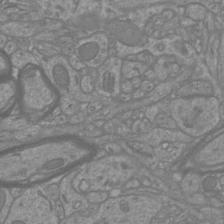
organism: Mouse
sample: Cortical neurons